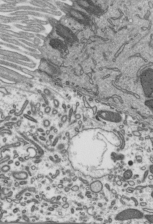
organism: Mouse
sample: Mouse epididymis efferent ductule cilia